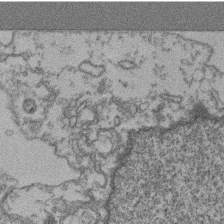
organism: Mouse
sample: T cell stromal cell synapse